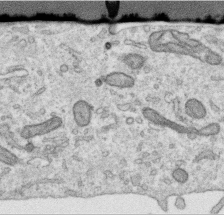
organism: Human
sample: Centriole in RPE cells